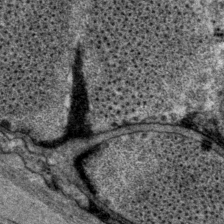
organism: P. pacificus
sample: Pharynx